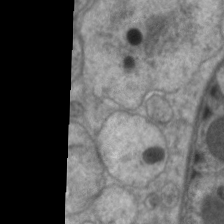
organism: C. elegans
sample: Pharynx